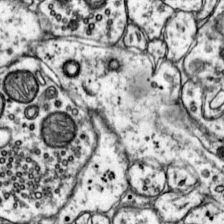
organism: Mouse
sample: Primary visual cortex